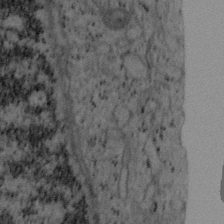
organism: Human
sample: HeLa cells